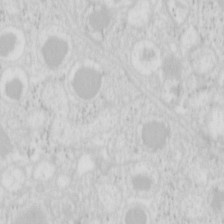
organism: Mouse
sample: Pancreas